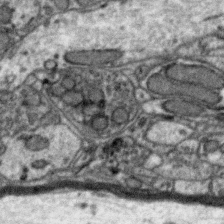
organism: Zebra finch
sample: Brain